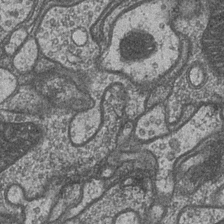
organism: Drosophila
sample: Optic medulla